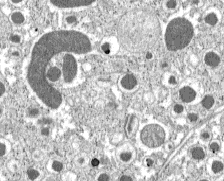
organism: C57BL Mouse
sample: Pancreatic islet